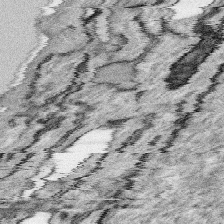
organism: Human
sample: HeLa cells